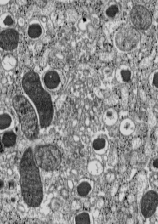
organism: C57BL Mouse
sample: Pancreatic islet